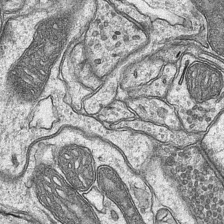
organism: Mouse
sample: CA1 Hippocampus